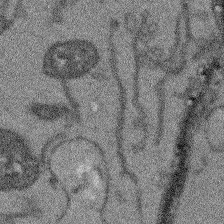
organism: Arabidopsis thaliana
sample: Root tip